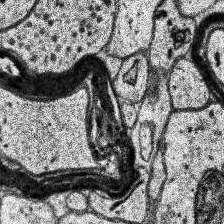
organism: Human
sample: Temporal Lobe